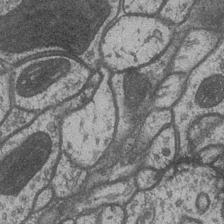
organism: Drosophila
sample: Optic medulla